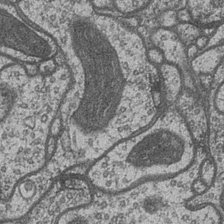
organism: Drosophila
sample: Optic medulla